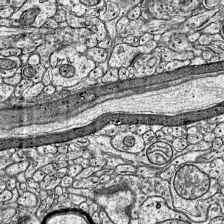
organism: Mouse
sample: Visual Cortex